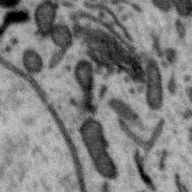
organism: Zebra finch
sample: Brain